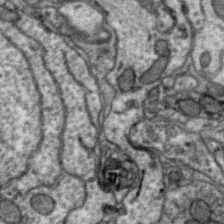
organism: Zebra finch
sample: Brain